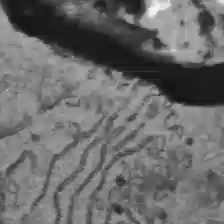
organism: C57BL Mouse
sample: Liver